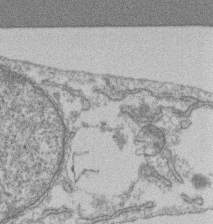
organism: Mouse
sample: T cell stromal cell synapse